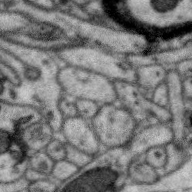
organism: Zebra finch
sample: Brain